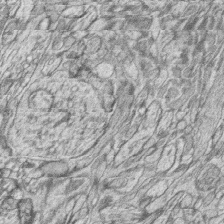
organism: Zebrafish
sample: synaptic ribbons in rod cells and cone cells